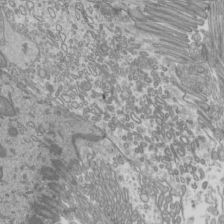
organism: Mouse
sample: Cilia; mouse epididymis